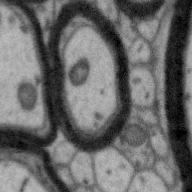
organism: Zebra finch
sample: Brain